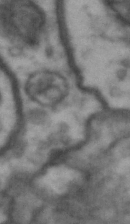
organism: Drosophila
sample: Brain